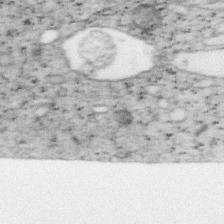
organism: Mouse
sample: OT-I killer T cells with ID8 ovarian cancer cells